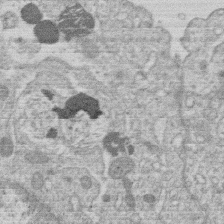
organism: Human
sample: Macrophage cells